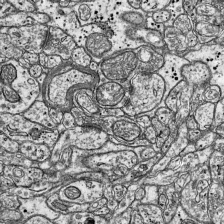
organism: Mouse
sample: Visual Cortex